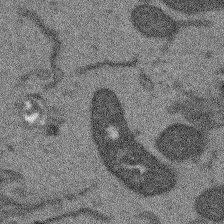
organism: Arabidopsis thaliana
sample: Root tip